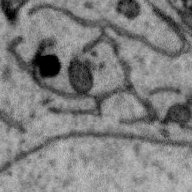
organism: Zebra finch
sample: Brain